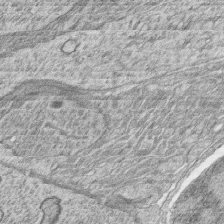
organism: Zebrafish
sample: synaptic ribbons in rod cells and cone cells